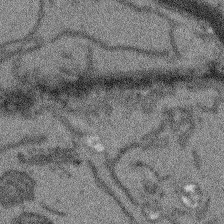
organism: Arabidopsis thaliana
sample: Root tip